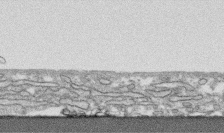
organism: Human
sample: CRL-1474